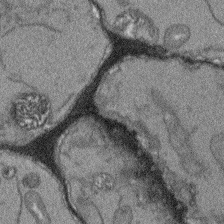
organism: Arabidopsis thaliana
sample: Root tip